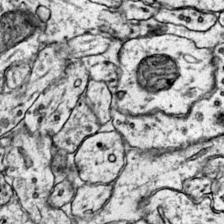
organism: Mouse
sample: Primary visual cortex